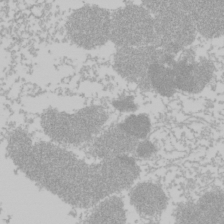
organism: Mouse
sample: Cancer cell death in ED-1 cells